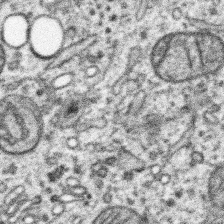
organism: Human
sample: HeLa cells